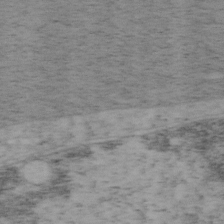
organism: Mouse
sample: OT-I killer T cells with ID8 ovarian cancer cells